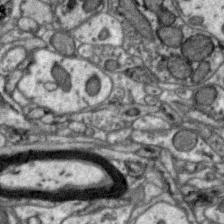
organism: Zebra finch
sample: Brain